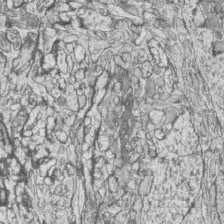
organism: Zebrafish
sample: synaptic ribbons in rod cells and cone cells